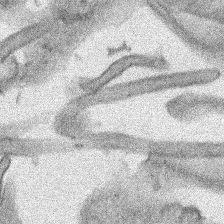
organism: Human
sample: Mitochondria in HCT116 cells